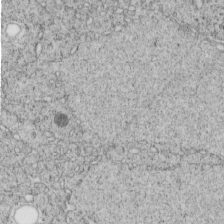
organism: C. elegans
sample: C. elegans embryo early stage